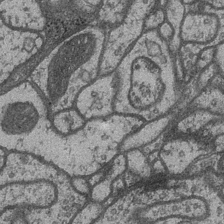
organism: Drosophila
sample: Optic medulla